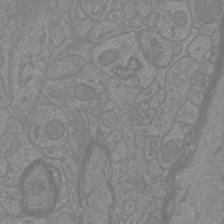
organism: Mouse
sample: Cortical neurons